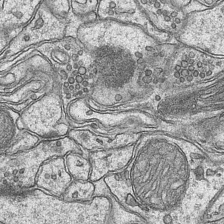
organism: Mouse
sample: CA1 Hippocampus